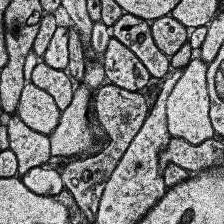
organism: Human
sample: Temporal Lobe